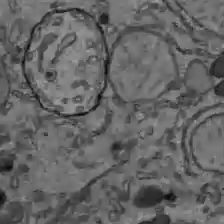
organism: C57BL Mouse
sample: Liver